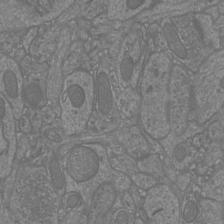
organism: Mouse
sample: Cortical neurons